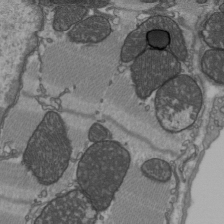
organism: C57BL Mouse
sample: Heart